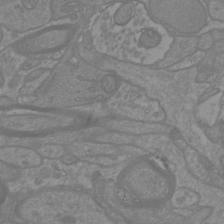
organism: Mouse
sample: Cortical neurons